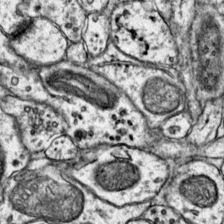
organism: Mouse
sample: Primary visual cortex